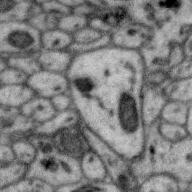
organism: Zebra finch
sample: Brain